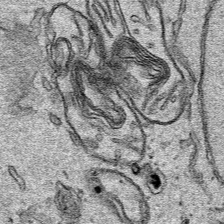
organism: Human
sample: Mitochondria in HCT116 cells